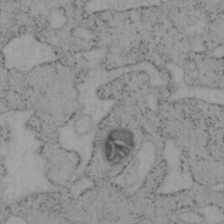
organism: Mouse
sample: OT-I killer T cells with ID8 ovarian cancer cells